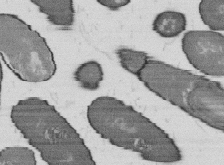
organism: B. subtilis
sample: Bacterial spore